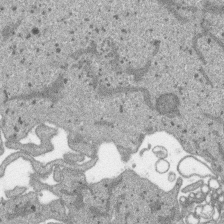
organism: Human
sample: Lung epithelial cells infected with SARS-CoV-2